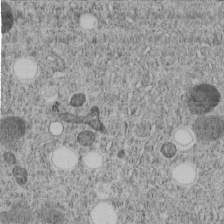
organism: C. elegans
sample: C. elegans embryo early stage